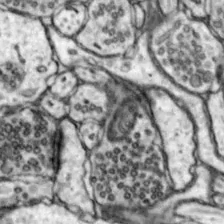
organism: Mouse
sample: Nucleus accumbens